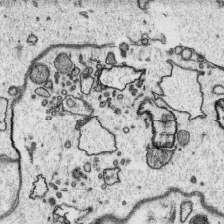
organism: Platynereis dumerilii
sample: Parapodia